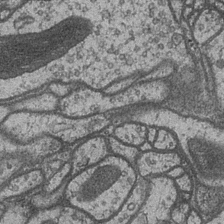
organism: Drosophila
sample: Optic medulla